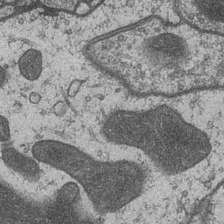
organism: Drosophila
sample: Optic medulla